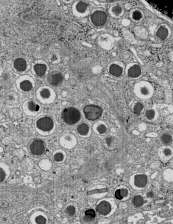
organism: C57BL Mouse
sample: Pancreatic islet